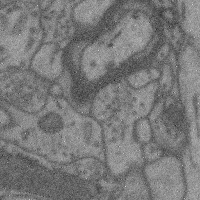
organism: Mouse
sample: Cerebral cortex